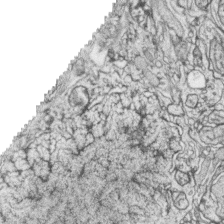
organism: Zebrafish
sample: synaptic ribbons in rod cells and cone cells